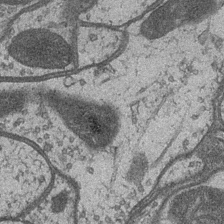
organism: Drosophila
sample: Optic medulla